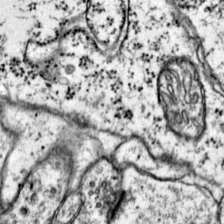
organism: Mouse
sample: Primary visual cortex